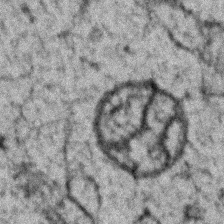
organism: Zebrafish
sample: Zebrafish embryo